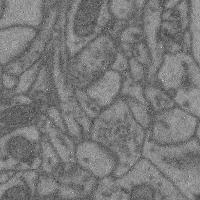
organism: Mouse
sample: Cerebral cortex